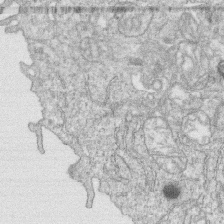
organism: Human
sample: HeLa cell HIV synapse